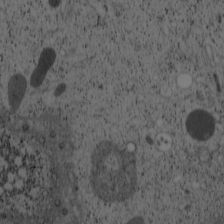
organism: African green monkey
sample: COS-7 cells